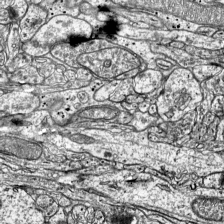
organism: Mouse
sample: Visual Cortex